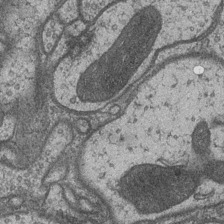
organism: Drosophila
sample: Optic medulla